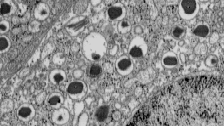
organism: C57BL Mouse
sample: Pancreatic islet